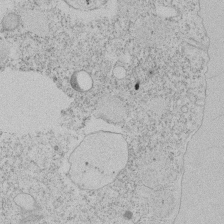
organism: Tetrahymena